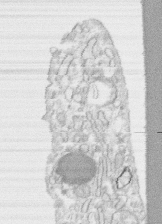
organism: Human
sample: CRL-1474